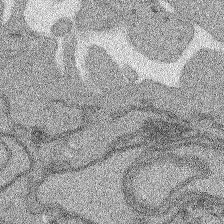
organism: Human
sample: HeLa cells